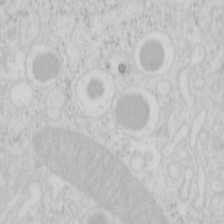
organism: Mouse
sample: Pancreas